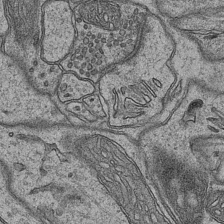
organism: Mouse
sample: CA1 Hippocampus